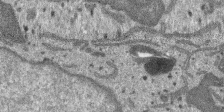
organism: Human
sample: Lung epithelial cells infected with SARS-CoV-2